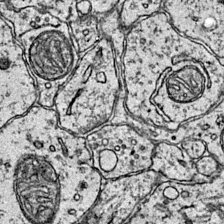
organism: Mouse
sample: Primary visual cortex